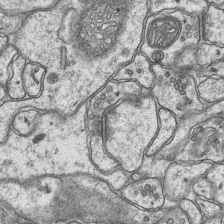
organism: Mouse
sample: CA1 Hippocampus